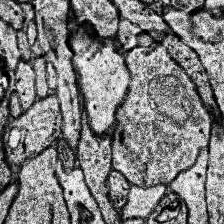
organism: Human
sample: Temporal Lobe